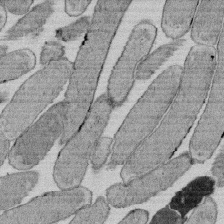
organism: E. coli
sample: Bacterial nucleoid